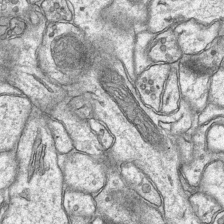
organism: Mouse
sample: CA1 Hippocampus